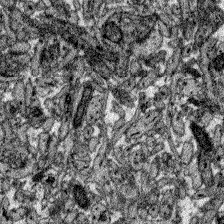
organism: Zebrafish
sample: Larval olfactory bulb